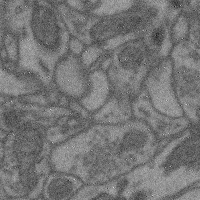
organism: Mouse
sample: Cerebral cortex